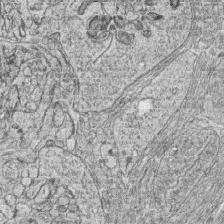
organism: Zebrafish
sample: synaptic ribbons in rod cells and cone cells